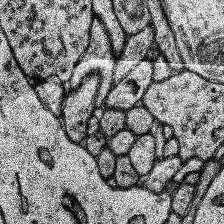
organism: Human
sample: Temporal Lobe